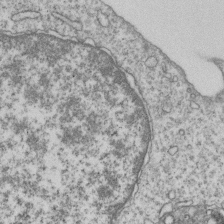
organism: Human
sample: MDA-MB-231 cells